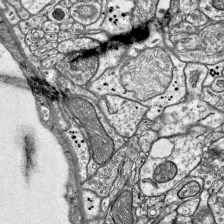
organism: Mouse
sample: Visual Cortex